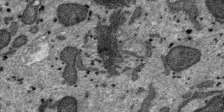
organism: Human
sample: Lung epithelial cells, uninfected (mock) control